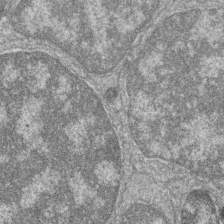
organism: Zebrafish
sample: Cilia; retinal pigment epithelium